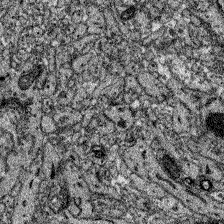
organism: Zebrafish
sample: Larval olfactory bulb